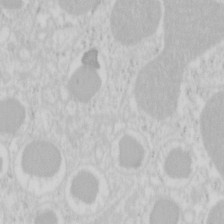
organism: Mouse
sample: Pancreas